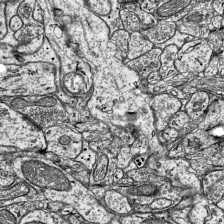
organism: Mouse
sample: Visual Cortex